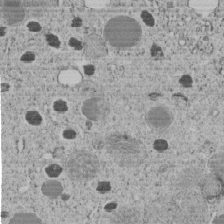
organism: C. elegans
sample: C. elegans embryo early stage